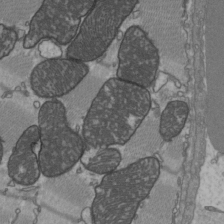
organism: C57BL Mouse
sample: Heart